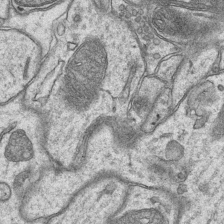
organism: Mouse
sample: CA1 Hippocampus